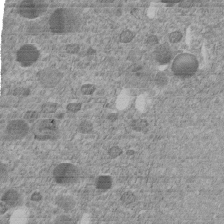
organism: C. elegans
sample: C. elegans embryo early stage